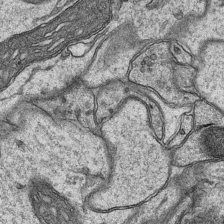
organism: Mouse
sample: CA1 Hippocampus